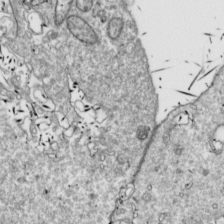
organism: Drosophila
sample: Cell division; meiosis; drosophila spermatocytes